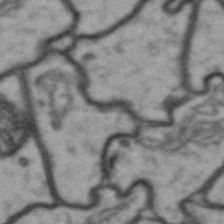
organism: Drosophila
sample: Brain